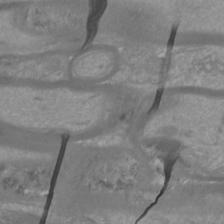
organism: Mouse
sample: Cortical neurons